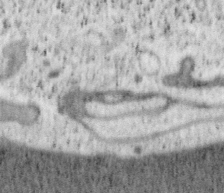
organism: Mouse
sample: OT-I killer T cells with ID8 ovarian cancer cells